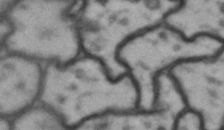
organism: Drosophila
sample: Brain